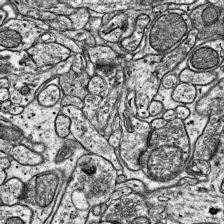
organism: Mouse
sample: Visual Cortex